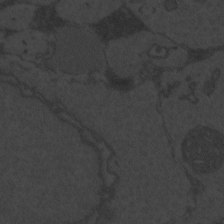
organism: Zebrafish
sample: Macrophage infected with Toxoplasma gondii